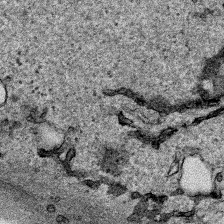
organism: Human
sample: Mitochondria in HCT116 cells